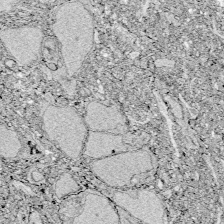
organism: Zebrafish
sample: Whole-Brain